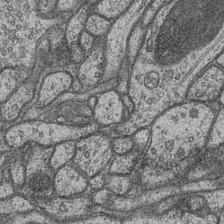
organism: Drosophila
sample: Optic medulla